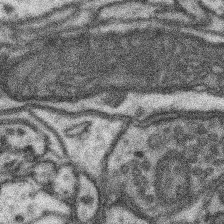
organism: Mouse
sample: Somatosensory cortex neuropil